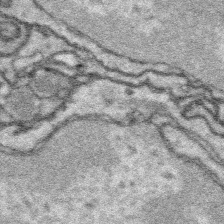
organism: Platynereis dumerilii